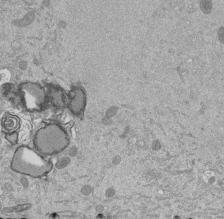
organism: Mouse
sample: ED-1 cell nuclei; centrioles